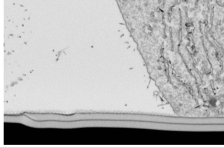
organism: Drosophila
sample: Cell division; meiosis; drosophila spermatocytes